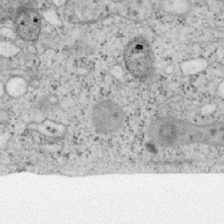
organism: Mouse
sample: OT-I killer T cells with ID8 ovarian cancer cells